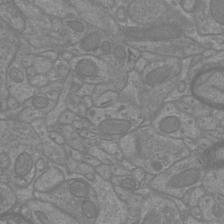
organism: Mouse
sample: Cortical neurons